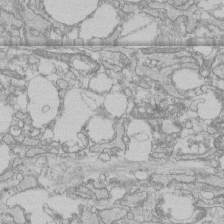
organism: Human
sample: CRL-1474